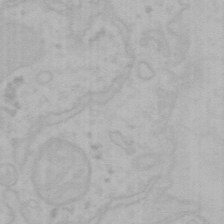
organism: Mouse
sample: Choroid plexus